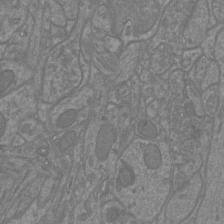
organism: Mouse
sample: Cortical neurons